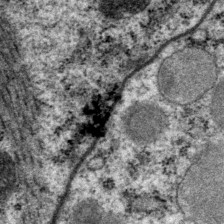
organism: P. pacificus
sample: Pharynx